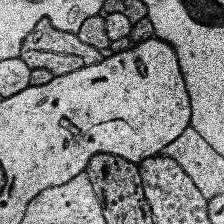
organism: Human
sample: Temporal Lobe